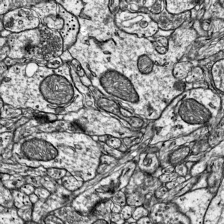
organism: Mouse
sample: Visual Cortex